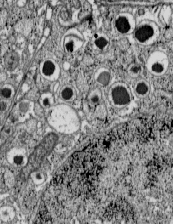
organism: C57BL Mouse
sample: Pancreatic islet